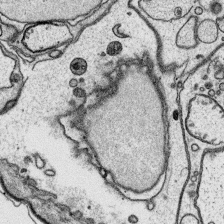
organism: Platynereis dumerilii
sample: Parapodia